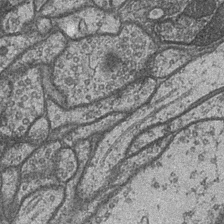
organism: Drosophila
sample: Optic medulla